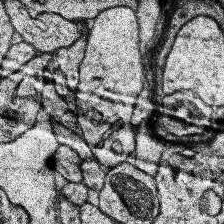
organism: Human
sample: Temporal Lobe